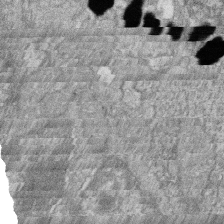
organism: Zebrafish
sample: Cilia; retinal pigment epithelium